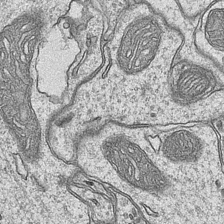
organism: Mouse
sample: CA1 Hippocampus